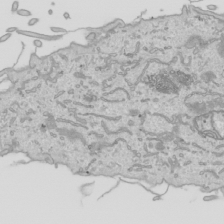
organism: Human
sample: Mitochondria in HCT116 cells